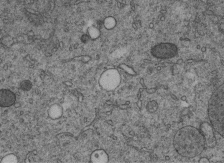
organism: C. elegans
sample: C. elegans embryo early stage